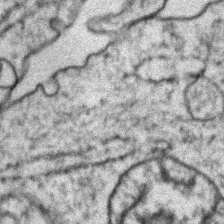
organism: Zebrafish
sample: Zebrafish embryo